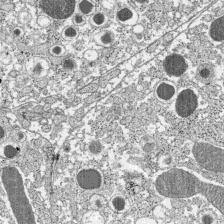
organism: C57BL Mouse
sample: Pancreatic islet